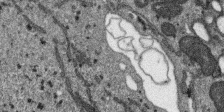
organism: Human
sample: Lung epithelial cells infected with SARS-CoV-2